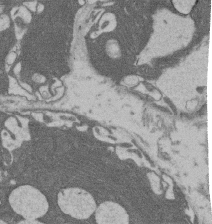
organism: Rat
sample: Salivary granule